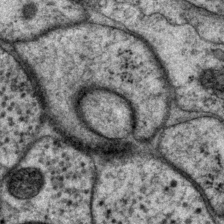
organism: P. pacificus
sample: Pharynx